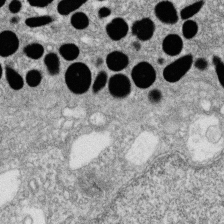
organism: Zebrafish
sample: Cilia; retinal pigment epithelium